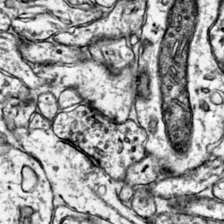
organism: Mouse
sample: Primary visual cortex